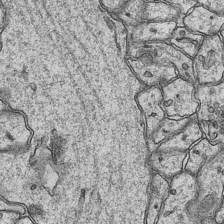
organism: Mouse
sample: CA1 Hippocampus